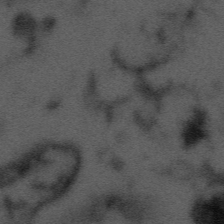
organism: Tuwongella immobilis